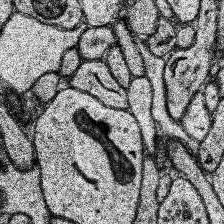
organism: Human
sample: Temporal Lobe